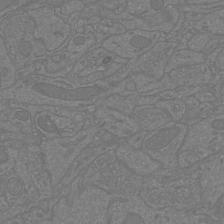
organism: Mouse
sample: Cortical neurons